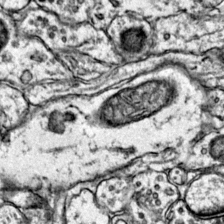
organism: Mouse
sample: Primary visual cortex